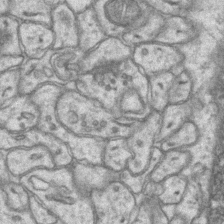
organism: Mouse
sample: CA1 Hippocampus